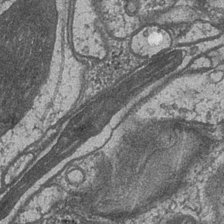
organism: Drosophila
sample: Optic medulla